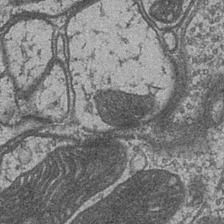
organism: Drosophila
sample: Optic medulla